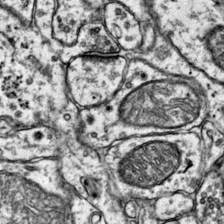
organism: Mouse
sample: Primary visual cortex